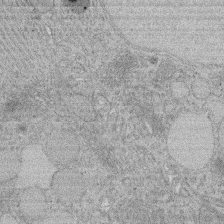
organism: Rat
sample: Salivary granule